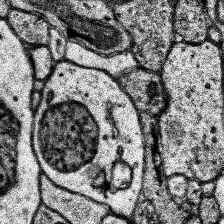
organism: Human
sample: Temporal Lobe